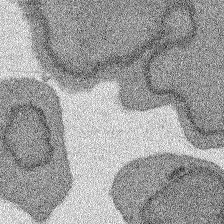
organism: Human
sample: HeLa cells